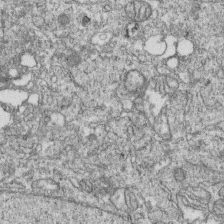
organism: Human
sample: HeLa cell HIV synapse